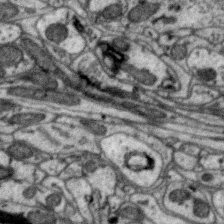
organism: Zebra finch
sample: Brain